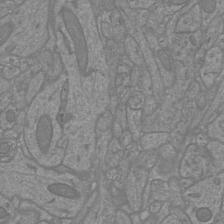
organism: Mouse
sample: Cortical neurons